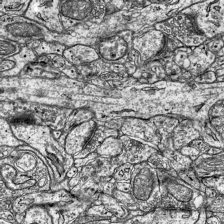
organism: Mouse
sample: Visual Cortex